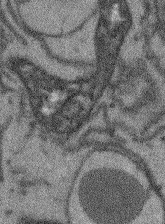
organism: Arabidopsis thaliana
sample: Root tip